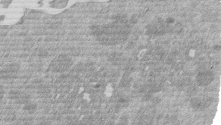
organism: Mouse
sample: Dividing mouse embryo 1 cell stage